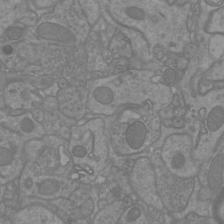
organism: Mouse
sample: Cortical neurons